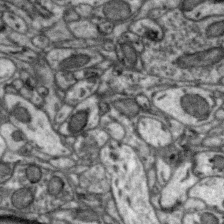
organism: Zebra finch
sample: Brain